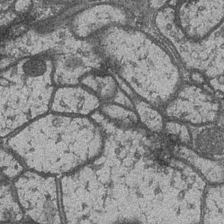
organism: Drosophila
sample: Optic medulla